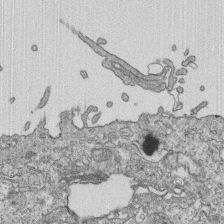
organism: Human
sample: HeLa cell HIV synapse